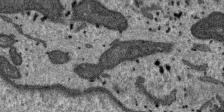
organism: Human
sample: Lung epithelial cells, uninfected (mock) control